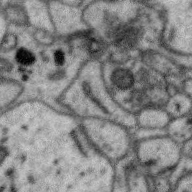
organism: Zebra finch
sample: Brain